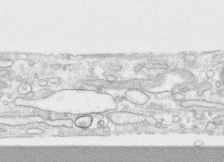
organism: Human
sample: CRL-1474